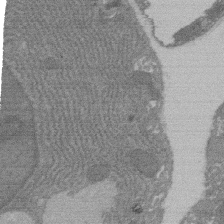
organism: Rat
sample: Salivary granule